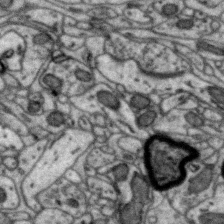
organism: Zebra finch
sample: Brain